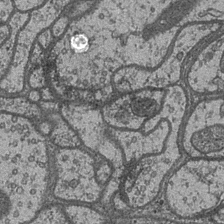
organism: Drosophila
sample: Optic medulla